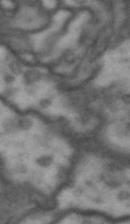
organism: Drosophila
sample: Brain